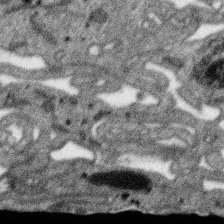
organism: Human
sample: Lung epithelial cells infected with SARS-CoV-2